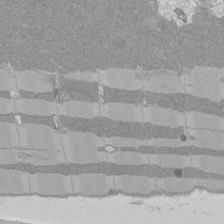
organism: Rat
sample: Left ventricle